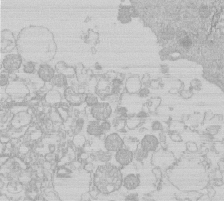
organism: Human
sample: Macrophage cells